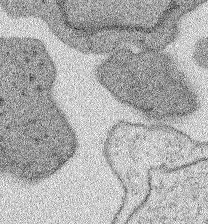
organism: Human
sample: HeLa cells